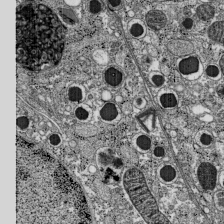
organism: C57BL Mouse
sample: Pancreatic islet